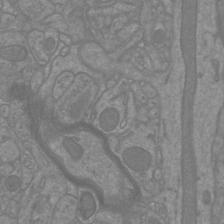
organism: Mouse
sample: Cortical neurons